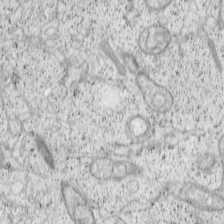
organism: African green monkey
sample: COS-7 cells